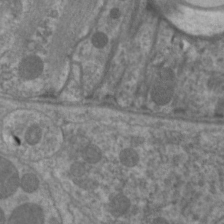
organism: C. elegans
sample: Pharynx